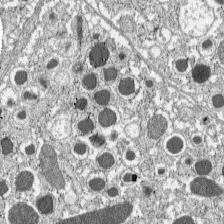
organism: C57BL Mouse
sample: Pancreatic islet